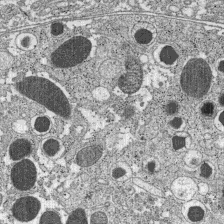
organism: C57BL Mouse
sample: Pancreatic islet